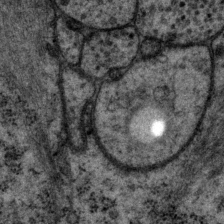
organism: P. pacificus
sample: Pharynx